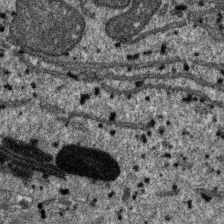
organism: Human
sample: Lung epithelial cells infected with SARS-CoV-2